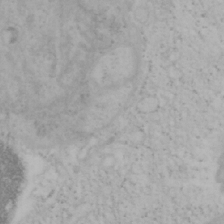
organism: Mouse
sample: OT-I killer T cells with ID8 ovarian cancer cells